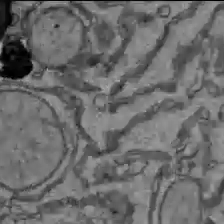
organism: C57BL Mouse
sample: Liver